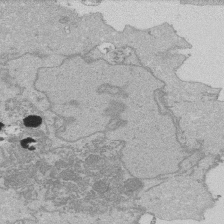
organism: Human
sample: Activated Jurkat CD4+ T cells